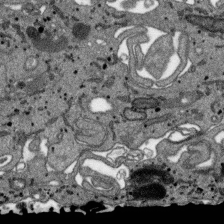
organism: Human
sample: Lung epithelial cells, uninfected (mock) control